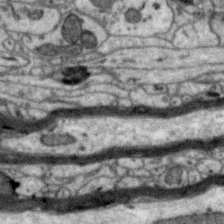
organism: Zebra finch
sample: Brain